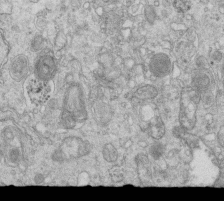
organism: Mouse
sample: Multiciliated cells